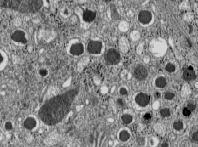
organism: C57BL Mouse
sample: Pancreatic islet